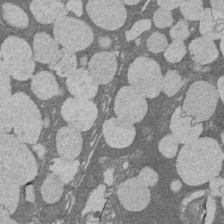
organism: Rat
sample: Salivary granule